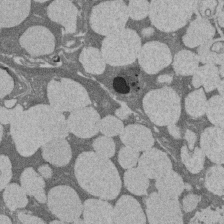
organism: Rat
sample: Salivary granule